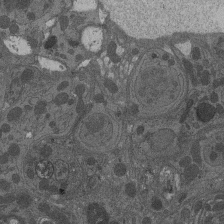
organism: Drosophila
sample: Antenna